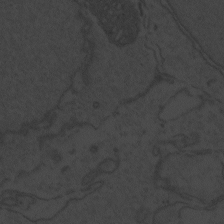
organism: Zebrafish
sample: Macrophage infected with Toxoplasma gondii